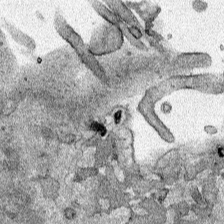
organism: Human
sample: Mitochondria in HCT116 cells